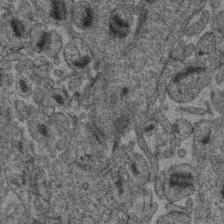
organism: Human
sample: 1205lu cells